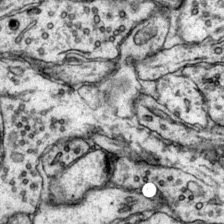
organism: Mouse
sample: Primary visual cortex